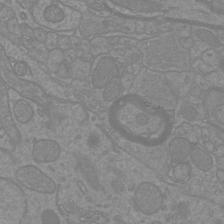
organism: Mouse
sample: Cortical neurons